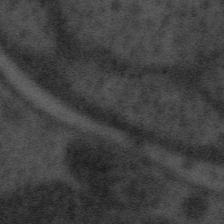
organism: Tuwongella immobilis